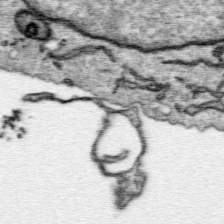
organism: Human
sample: HeLa cells